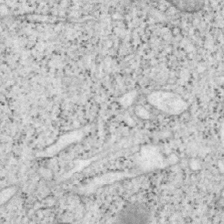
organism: Mouse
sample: OT-I killer T cells with ID8 ovarian cancer cells